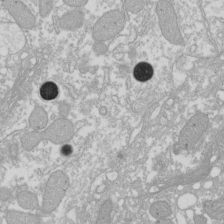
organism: Xenopus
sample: Cilia; centrioles in frog embryo cells